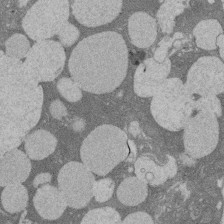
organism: Rat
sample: Salivary granule